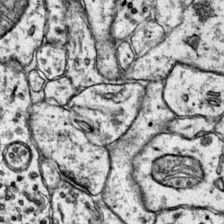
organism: Mouse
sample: Primary visual cortex